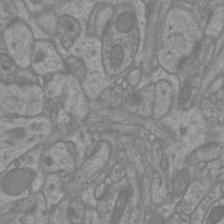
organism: Mouse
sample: Cortical neurons